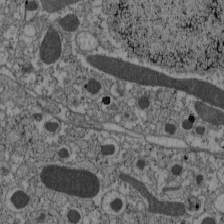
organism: C57BL Mouse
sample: Pancreatic islet